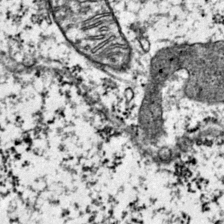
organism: Mouse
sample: Primary visual cortex